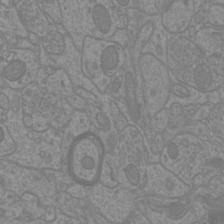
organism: Mouse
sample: Cortical neurons